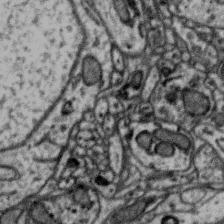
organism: Zebra finch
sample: Brain